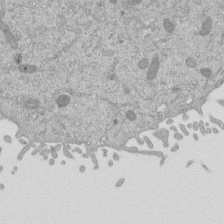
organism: Mouse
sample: ED-1 cell nuclei; centrioles